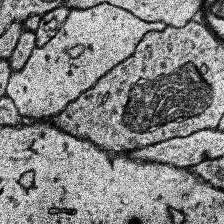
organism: Human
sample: Temporal Lobe